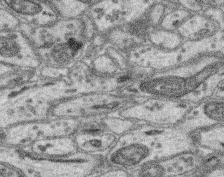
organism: Mouse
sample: Retina